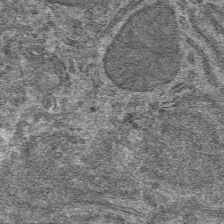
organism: Mouse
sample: Mouse hepatocytes